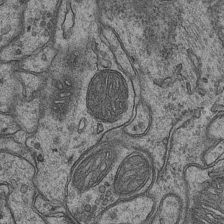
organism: Mouse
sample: CA1 Hippocampus